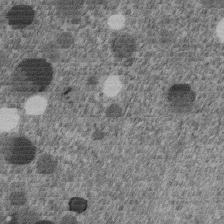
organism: C. elegans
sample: C. elegans embryo early stage